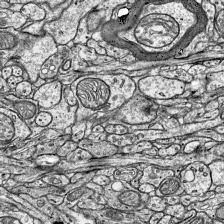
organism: Mouse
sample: Visual Cortex